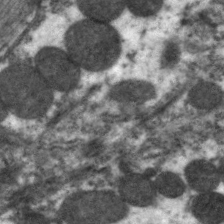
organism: C. elegans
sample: Pharynx